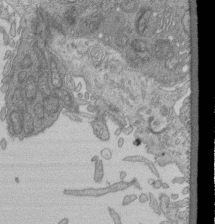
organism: Human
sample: Retinal organoid Rod and Cone cells